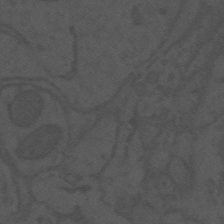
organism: Mouse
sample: Suprachiasmatic nucleus